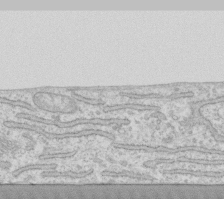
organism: Human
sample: Fibroblast cells